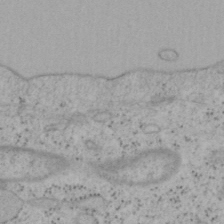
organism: Human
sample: HeLa cells